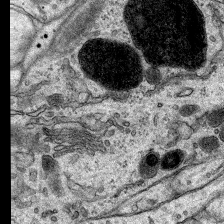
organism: Rat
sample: Hippocampus